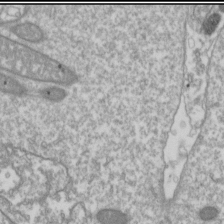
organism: Drosophila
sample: Cell division; meiosis; drosophila spermatocytes